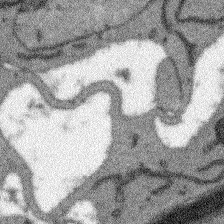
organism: Arabidopsis thaliana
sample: Root tip